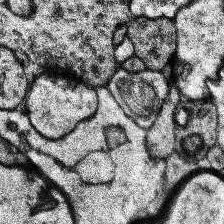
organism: Human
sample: Temporal Lobe